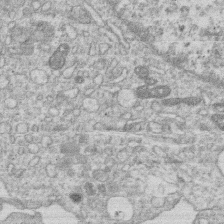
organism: Human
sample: Macrophage cells